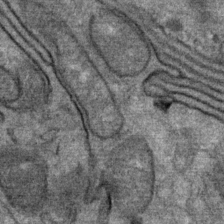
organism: Mouse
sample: Mouse Salivary gland